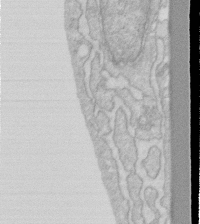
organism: Human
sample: Fibroblast cells